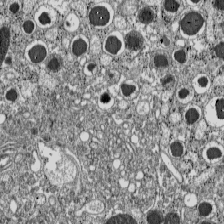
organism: C57BL Mouse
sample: Pancreatic islet